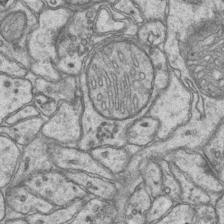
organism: Mouse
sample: CA1 Hippocampus